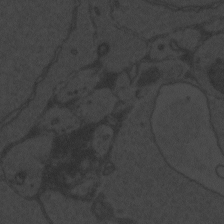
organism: Zebrafish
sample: Macrophage infected with Toxoplasma gondii